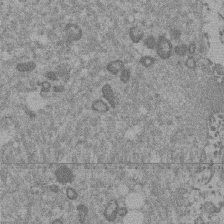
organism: Mouse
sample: Dividing mouse embryo 1 cell stage